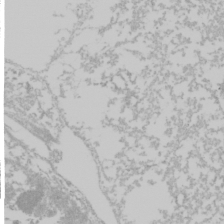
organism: Mouse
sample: Cancer cell death in ED-1 cells